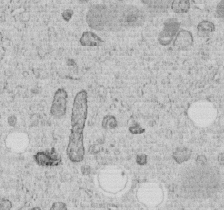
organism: C. elegans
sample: C. elegans embryo early stage